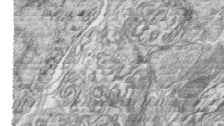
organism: Zebrafish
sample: synaptic ribbons in rod cells and cone cells